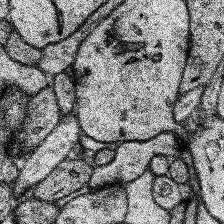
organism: Human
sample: Temporal Lobe